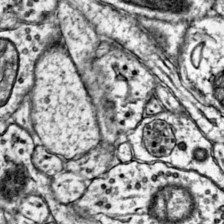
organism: Mouse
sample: Primary visual cortex